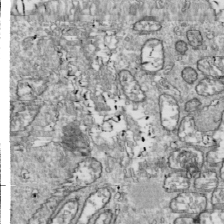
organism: Drosophila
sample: Cell division; meiosis; drosophila spermatocytes